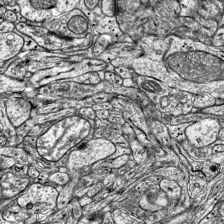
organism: Mouse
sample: Visual Cortex